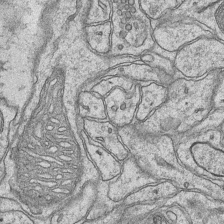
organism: Mouse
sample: CA1 Hippocampus